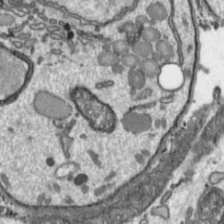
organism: Toxoplasma gondii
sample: Parasites in a vacuole inside a host cell